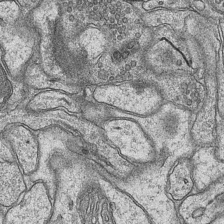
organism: Mouse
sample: CA1 Hippocampus